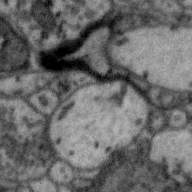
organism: Zebra finch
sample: Brain